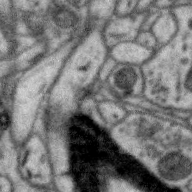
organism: Zebra finch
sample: Brain